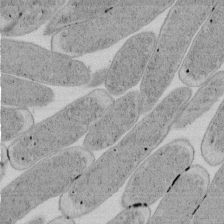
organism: E. coli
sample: Bacterial nucleoid